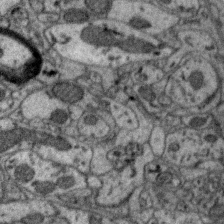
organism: Zebra finch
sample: Brain